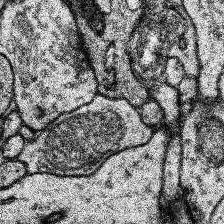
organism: Human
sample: Temporal Lobe